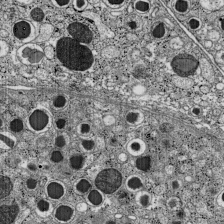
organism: C57BL Mouse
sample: Pancreatic islet